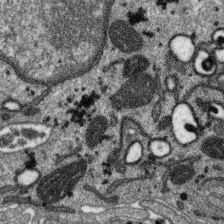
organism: Human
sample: Lung epithelial cells infected with SARS-CoV-2